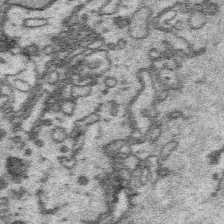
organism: Platynereis dumerilii